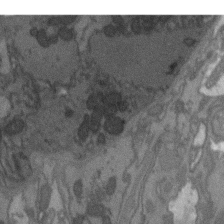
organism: C. elegans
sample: AFD neurons C. elegans